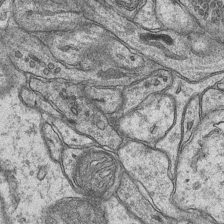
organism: Mouse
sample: CA1 Hippocampus